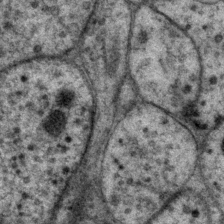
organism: P. pacificus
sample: Pharynx